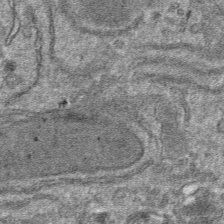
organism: Mouse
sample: Mouse hepatocytes